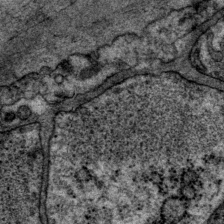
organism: P. pacificus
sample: Pharynx